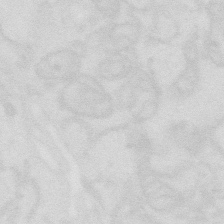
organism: Human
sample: HeLa cells